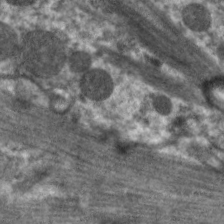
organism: C. elegans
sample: Pharynx